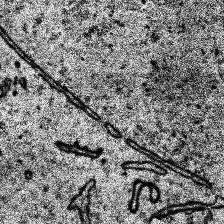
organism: Human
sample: Temporal Lobe